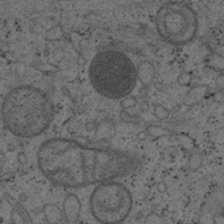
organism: Human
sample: HeLa cells